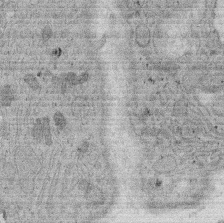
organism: Rat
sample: Salivary granule